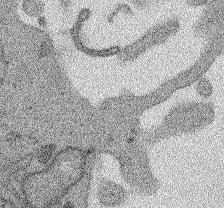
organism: Human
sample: HeLa cells